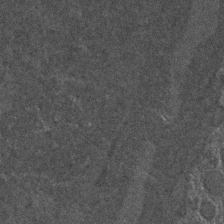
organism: C. elegans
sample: C. elegans embryo